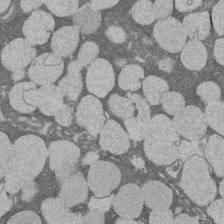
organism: Rat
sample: Salivary granule